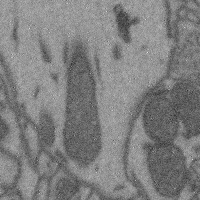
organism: Mouse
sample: Cerebral cortex